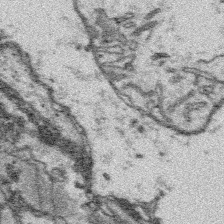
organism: Platynereis dumerilii